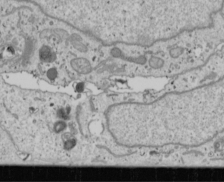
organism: Human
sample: Mitochondria in U2OS cells